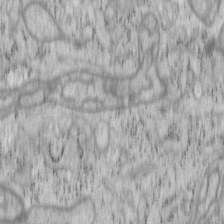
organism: Human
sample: HeLa cells